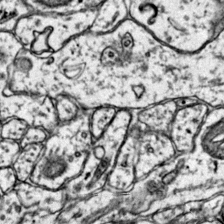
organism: Mouse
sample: Primary visual cortex